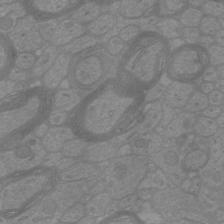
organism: Mouse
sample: Cortical neurons